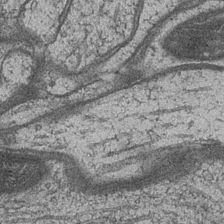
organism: Drosophila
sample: Optic medulla